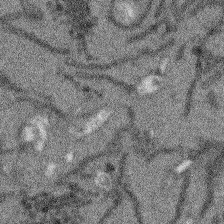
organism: Arabidopsis thaliana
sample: Root tip